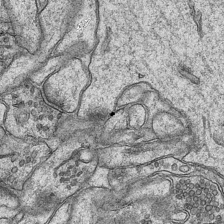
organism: Mouse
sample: CA1 Hippocampus